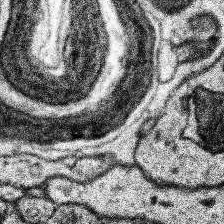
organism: Human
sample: Temporal Lobe